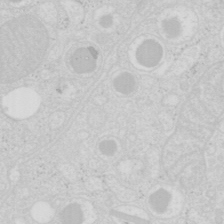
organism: Mouse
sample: Pancreas